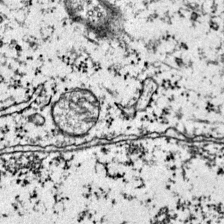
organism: Mouse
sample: Primary visual cortex